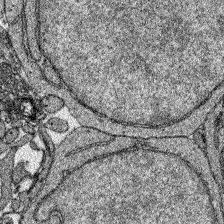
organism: Zebrafish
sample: Larval olfactory bulb